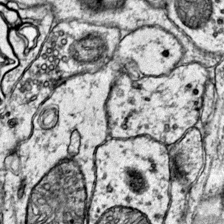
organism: Mouse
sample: Primary visual cortex